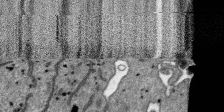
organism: Human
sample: Lung epithelial cells, uninfected (mock) control